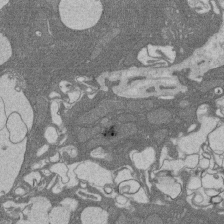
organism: Rat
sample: Salivary granule